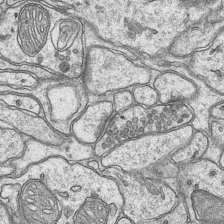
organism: Mouse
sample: CA1 Hippocampus